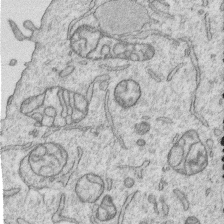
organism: Human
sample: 1205lu cells